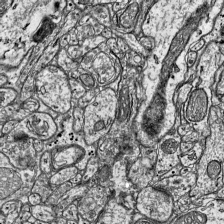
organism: Mouse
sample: Visual Cortex